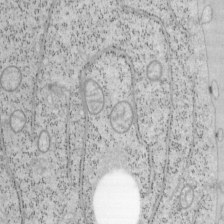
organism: Mouse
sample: OT-I killer T cells with ID8 ovarian cancer cells